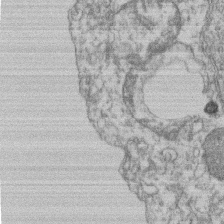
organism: Mouse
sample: T cell stromal cell synapse